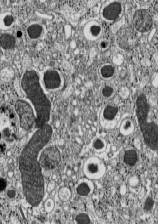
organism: C57BL Mouse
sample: Pancreatic islet